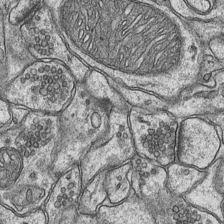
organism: Mouse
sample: CA1 Hippocampus